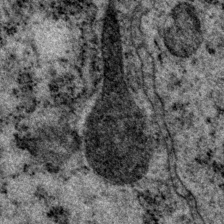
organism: P. pacificus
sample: Pharynx